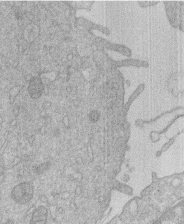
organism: Human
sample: Macrophage cells